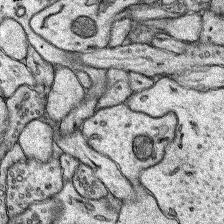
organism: Rat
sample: Hippocampus